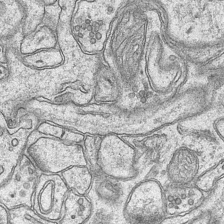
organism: Mouse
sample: CA1 Hippocampus